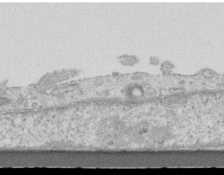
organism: Mouse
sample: Centriole in ependymal cells